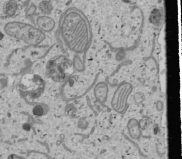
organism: Human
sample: Mitochondria in U2OS cells